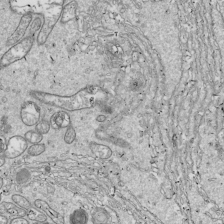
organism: Drosophila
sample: Cell division; meiosis; drosophila spermatocytes